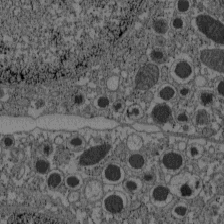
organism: C57BL Mouse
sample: Pancreatic islet